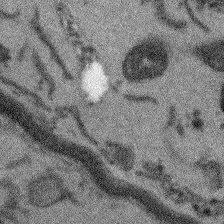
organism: Arabidopsis thaliana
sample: Root tip